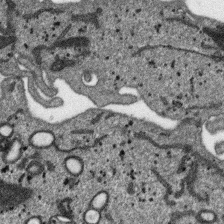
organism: Human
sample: Lung epithelial cells infected with SARS-CoV-2